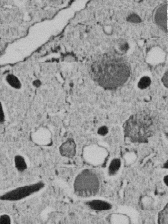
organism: C. elegans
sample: C. elegans embryo early stage